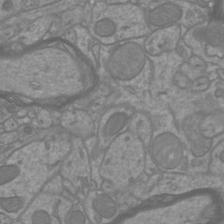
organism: Mouse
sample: Cortical neurons